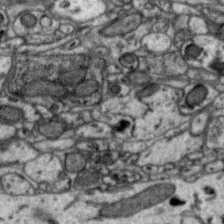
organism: Zebra finch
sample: Brain